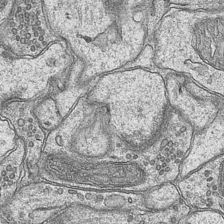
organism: Mouse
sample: CA1 Hippocampus